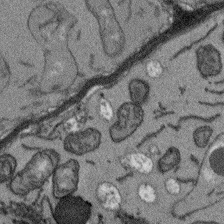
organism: Arabidopsis thaliana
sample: Root tip